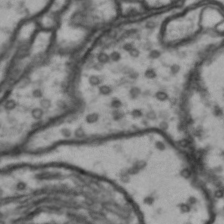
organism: Drosophila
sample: Brain